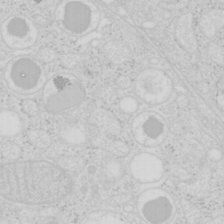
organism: Mouse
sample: Pancreas